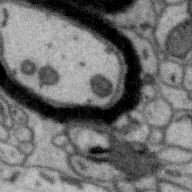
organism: Zebra finch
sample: Brain